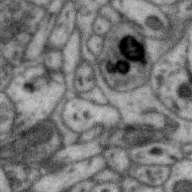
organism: Zebra finch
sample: Brain